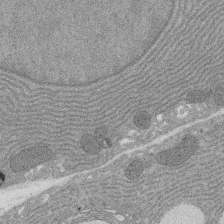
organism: Rat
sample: Salivary granule